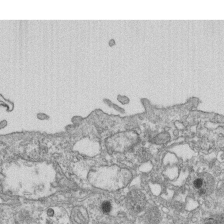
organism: Human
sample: HeLa cell HIV synapse